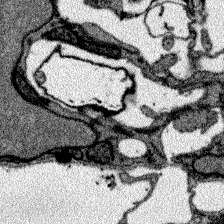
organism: Zebrafish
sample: Larval olfactory bulb